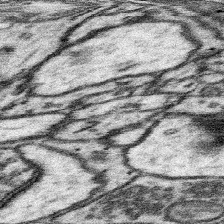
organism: Mouse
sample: Somatosensory cortex neuropil